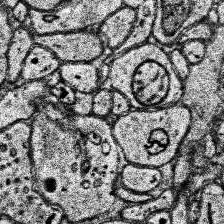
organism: Human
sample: Temporal Lobe